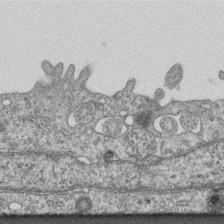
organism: Mouse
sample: Centriole in ependymal cells